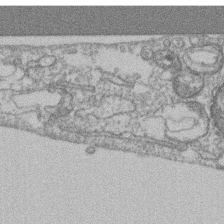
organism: Mouse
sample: T cell stromal cell synapse